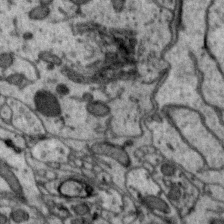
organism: Zebra finch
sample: Brain